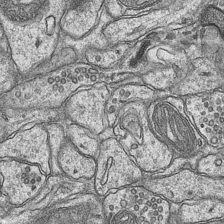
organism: Mouse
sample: CA1 Hippocampus